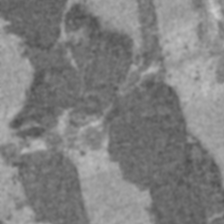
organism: C57BL Mouse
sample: Heart